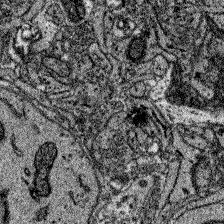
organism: Zebrafish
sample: Larval olfactory bulb